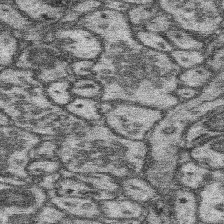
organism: Mouse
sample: Somatosensory cortex neuropil